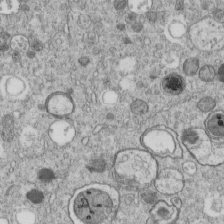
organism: C. elegans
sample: C. elegans embryo early stage